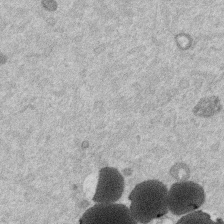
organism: Mouse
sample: Dividing mouse embryo 1 cell stage